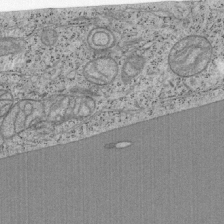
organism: Human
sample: HeLa cells